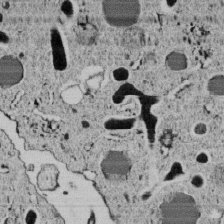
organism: C. elegans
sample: C. elegans embryo early stage